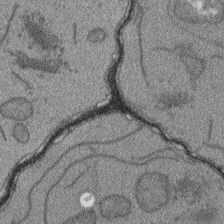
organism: Arabidopsis thaliana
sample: Root tip